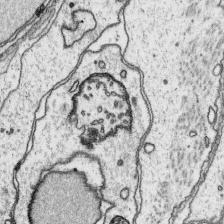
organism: Platynereis dumerilii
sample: Parapodia